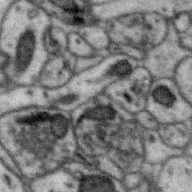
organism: Zebra finch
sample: Brain